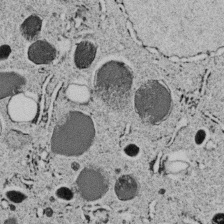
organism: C. elegans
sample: C. elegans embryo early stage